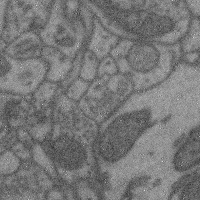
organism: Mouse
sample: Cerebral cortex